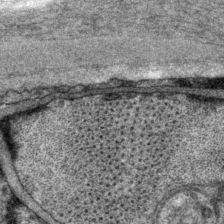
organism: P. pacificus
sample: Pharynx